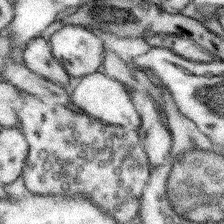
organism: Mouse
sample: Somatosensory cortex neuropil